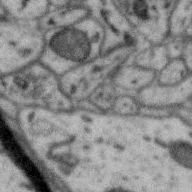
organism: Zebra finch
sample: Brain